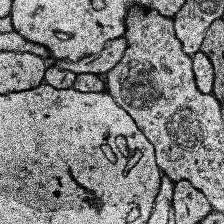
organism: Human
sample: Temporal Lobe